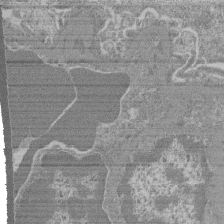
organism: Mouse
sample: Glomerulus